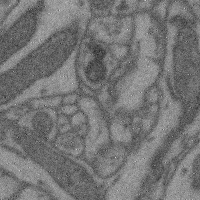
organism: Mouse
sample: Cerebral cortex